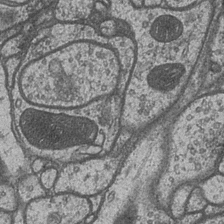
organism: Drosophila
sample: Optic medulla